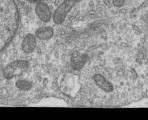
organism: Human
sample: Centriole in RPE cells